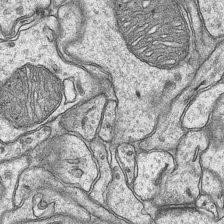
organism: Mouse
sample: CA1 Hippocampus